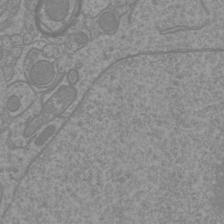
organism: Mouse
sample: Cortical neurons